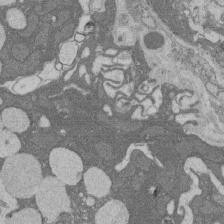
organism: Rat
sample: Salivary granule